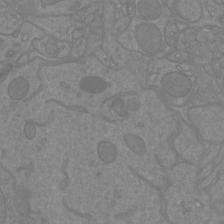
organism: Mouse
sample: Cortical neurons